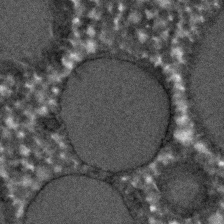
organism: C. elegans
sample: C. elegans embryo